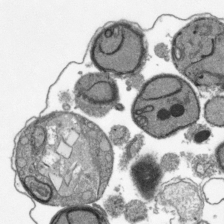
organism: Plasmodium falciparum